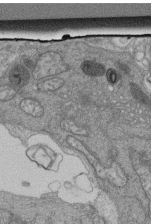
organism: Human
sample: Retinal organoid Rod and Cone cells